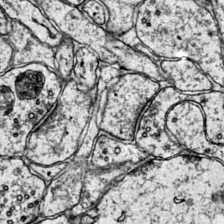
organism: Mouse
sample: Primary visual cortex